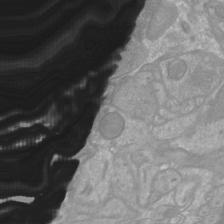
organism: Mouse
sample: Cortical neurons